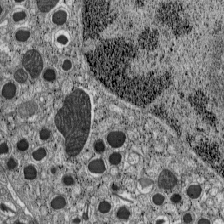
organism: C57BL Mouse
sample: Pancreatic islet